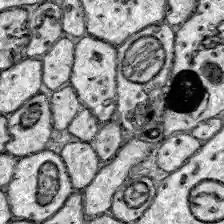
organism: Zebrafish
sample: Brain